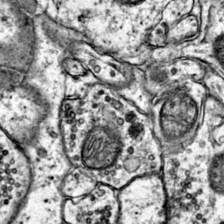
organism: Mouse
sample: Primary visual cortex